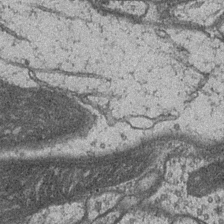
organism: Drosophila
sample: Optic medulla